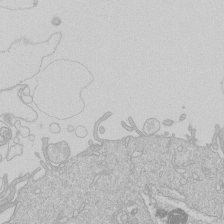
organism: Human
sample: Macrophage cells